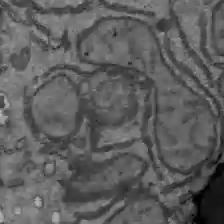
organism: C57BL Mouse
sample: Liver